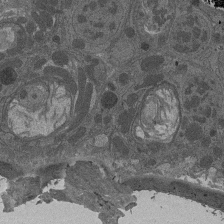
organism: Drosophila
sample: Antenna